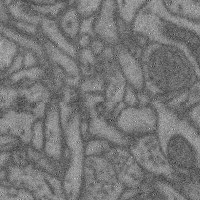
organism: Mouse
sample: Cerebral cortex